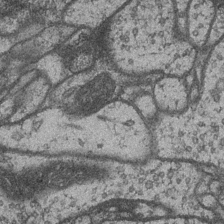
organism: Drosophila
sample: Optic medulla